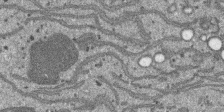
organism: Human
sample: Lung epithelial cells infected with SARS-CoV-2